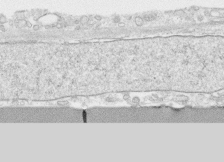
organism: Human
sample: CRL-1474